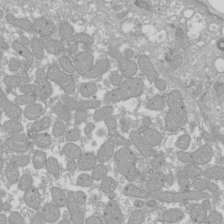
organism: Xenopus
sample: Cilia; centrioles in frog embryo cells